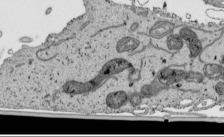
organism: Human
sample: Mitochondria in HCT116 cells